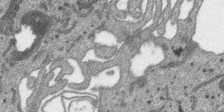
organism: Human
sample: Lung epithelial cells infected with SARS-CoV-2